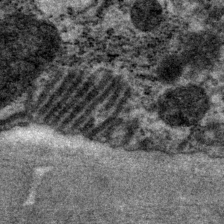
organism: P. pacificus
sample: Pharynx